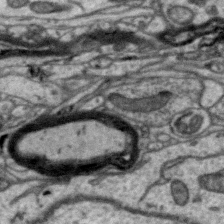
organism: Zebra finch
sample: Brain